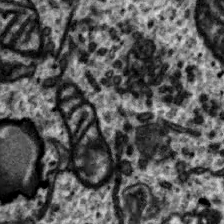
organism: Human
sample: HeLa cells